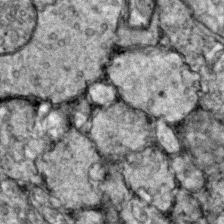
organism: Zebrafish